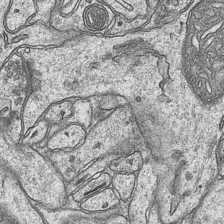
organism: Mouse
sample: CA1 Hippocampus